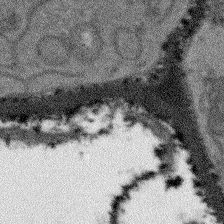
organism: Arabidopsis thaliana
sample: Root tip